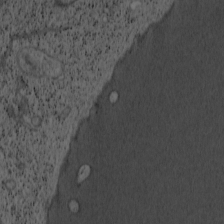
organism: African green monkey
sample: COS-7 cells